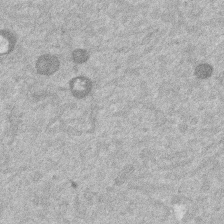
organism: Mouse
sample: Dividing mouse embryo 1 cell stage